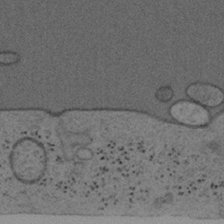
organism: Human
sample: HeLa cells